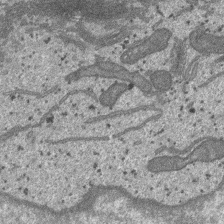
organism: Human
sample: Lung epithelial cells infected with SARS-CoV-2